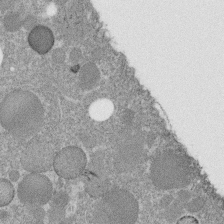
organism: C. elegans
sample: C. elegans embryo early stage